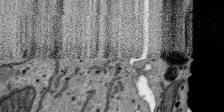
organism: Human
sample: Lung epithelial cells, uninfected (mock) control